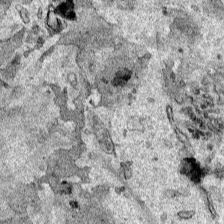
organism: Human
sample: Mitochondria in HCT116 cells